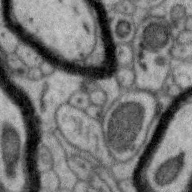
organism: Zebra finch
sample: Brain